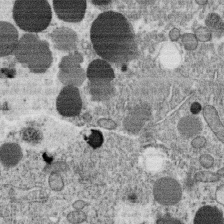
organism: C. elegans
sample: C. elegans oocyte; sperm cells